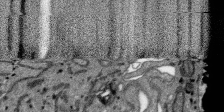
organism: Human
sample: Lung epithelial cells, uninfected (mock) control